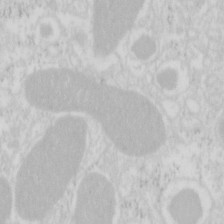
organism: Mouse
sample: Pancreas